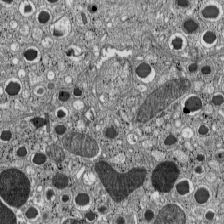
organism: C57BL Mouse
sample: Pancreatic islet